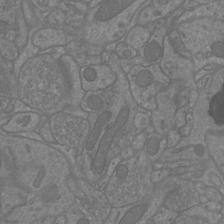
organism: Mouse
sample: Cortical neurons